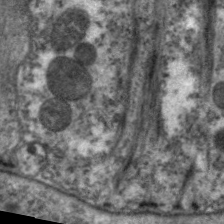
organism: C. elegans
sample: Pharynx